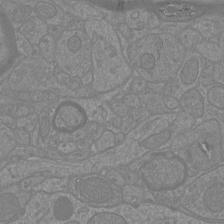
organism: Mouse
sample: Cortical neurons